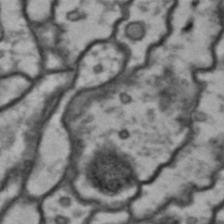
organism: Drosophila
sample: Brain